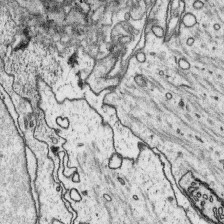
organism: Platynereis dumerilii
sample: Parapodia